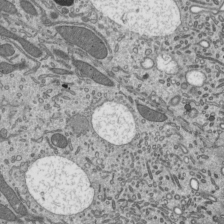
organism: Mouse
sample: Mouse epididymis efferent ductule cilia